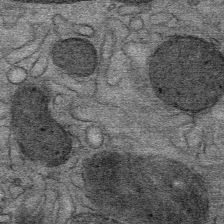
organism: Mouse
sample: Mouse Salivary gland